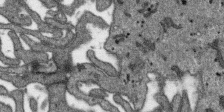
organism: Human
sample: Lung epithelial cells, uninfected (mock) control